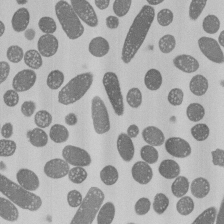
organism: E. coli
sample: Bacterial nucleoid